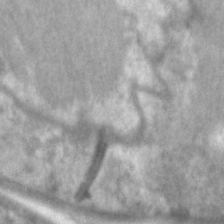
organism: C. elegans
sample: Pharynx